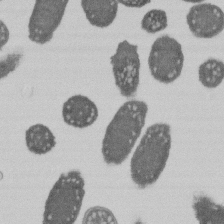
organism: E. coli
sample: Bacterial nucleoid